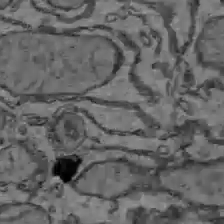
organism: C57BL Mouse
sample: Liver